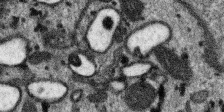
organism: Human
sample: Lung epithelial cells infected with SARS-CoV-2